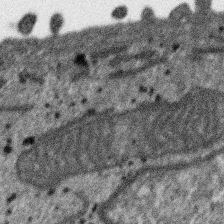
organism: Human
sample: Lung epithelial cells infected with SARS-CoV-2